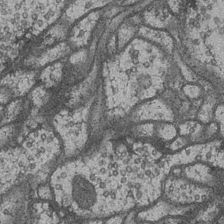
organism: Drosophila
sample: Optic medulla